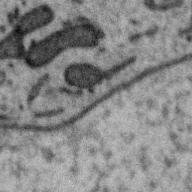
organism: Zebra finch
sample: Brain